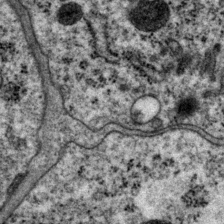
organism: P. pacificus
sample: Pharynx